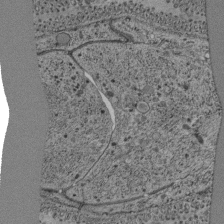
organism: C. elegans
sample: C. elegans pharynx